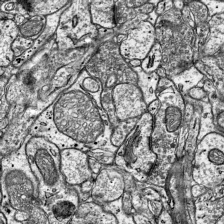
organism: Mouse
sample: Visual Cortex